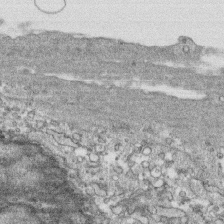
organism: Human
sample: CRL-1474